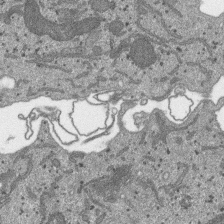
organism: Human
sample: Lung epithelial cells infected with SARS-CoV-2